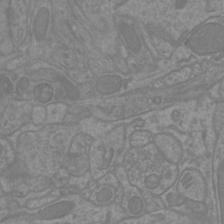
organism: Mouse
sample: Cortical neurons